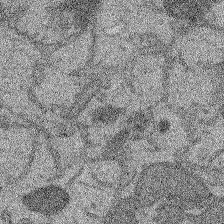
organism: Human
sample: HeLa cells